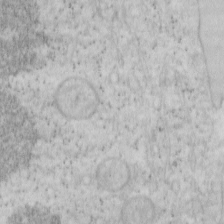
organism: Human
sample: HeLa cells